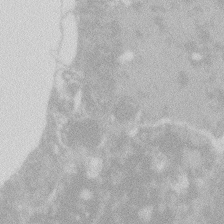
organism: Zebrafish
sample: Macrophage